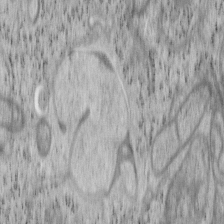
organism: Human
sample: HeLa cells